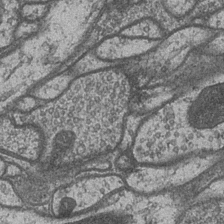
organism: Drosophila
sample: Optic medulla